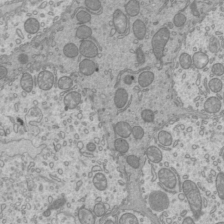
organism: Mouse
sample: Cilia; mouse epididymis